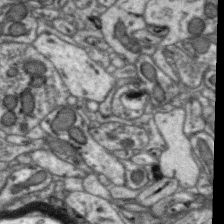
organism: Zebra finch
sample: Brain